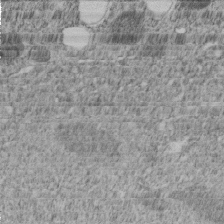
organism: C. elegans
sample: C. elegans embryo early stage